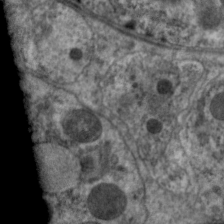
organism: C. elegans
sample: Pharynx